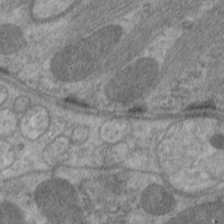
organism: C. elegans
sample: Pharynx